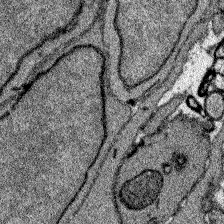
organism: Zebrafish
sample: Larval olfactory bulb